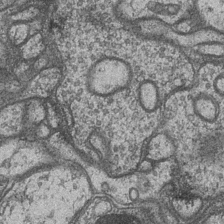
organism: Drosophila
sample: Optic medulla